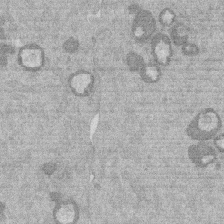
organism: Mouse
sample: Dividing mouse embryo 1 cell stage